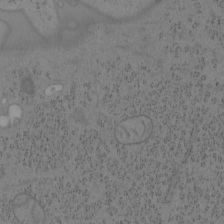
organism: Mouse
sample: OT-I killer T cells with ID8 ovarian cancer cells